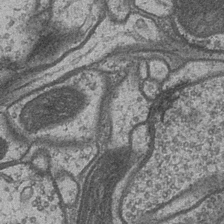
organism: Drosophila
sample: Optic medulla